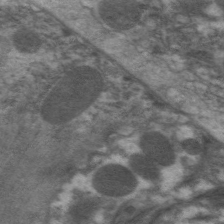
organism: C. elegans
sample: Pharynx